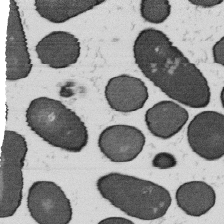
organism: B. subtilis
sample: Bacterial spore